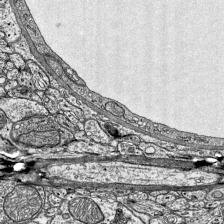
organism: Mouse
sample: Visual Cortex